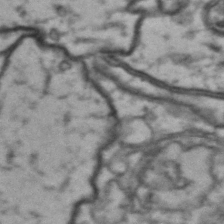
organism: Drosophila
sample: Brain